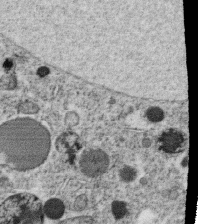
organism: C. elegans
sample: C. elegans oocyte; sperm cells